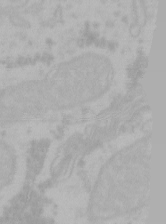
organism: Mouse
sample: Choroid plexus